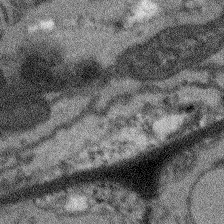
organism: Arabidopsis thaliana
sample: Root tip